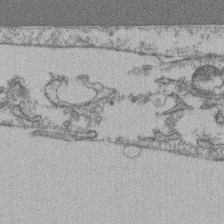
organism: Mouse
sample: T cell stromal cell synapse